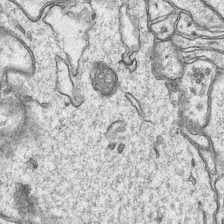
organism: Mouse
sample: CA1 Hippocampus